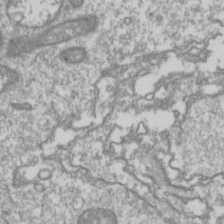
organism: Drosophila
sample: Cell division; meiosis; drosophila spermatocytes